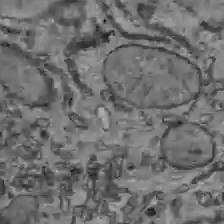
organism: C57BL Mouse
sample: Liver